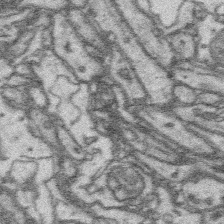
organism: Platynereis dumerilii